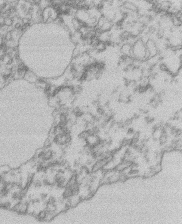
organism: Mouse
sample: T cell stromal cell synapse